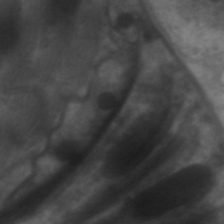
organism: C. elegans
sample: Pharynx